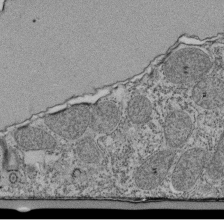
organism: Tetrahymena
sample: Cilia in tetrahymena